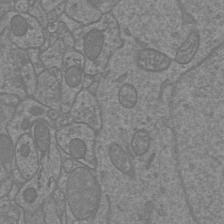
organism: Mouse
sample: Cortical neurons